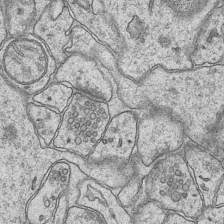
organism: Mouse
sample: CA1 Hippocampus